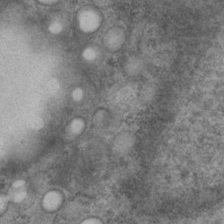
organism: P. pacificus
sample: Pharynx